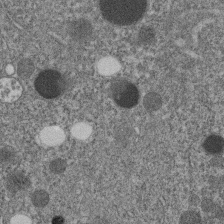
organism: C. elegans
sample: C. elegans embryo early stage